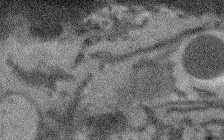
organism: Arabidopsis thaliana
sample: Root tip